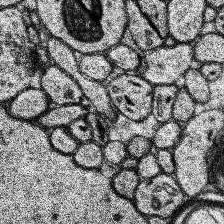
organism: Human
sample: Temporal Lobe